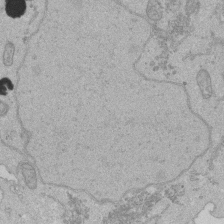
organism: Human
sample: Activated Jurkat CD4+ T cells